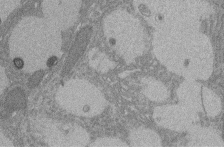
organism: Rat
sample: Salivary granule